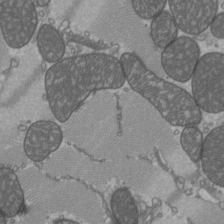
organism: C57BL Mouse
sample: Heart